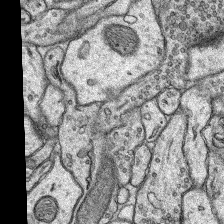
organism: Rat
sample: Hippocampus